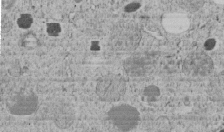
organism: C. elegans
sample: C. elegans embryo early stage